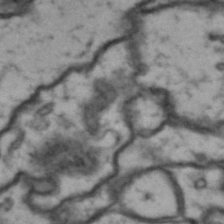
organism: Drosophila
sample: Brain